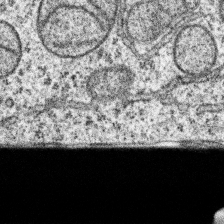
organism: Human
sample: HeLa cells